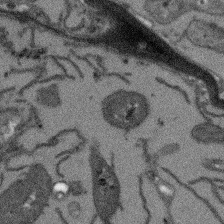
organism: Arabidopsis thaliana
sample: Root tip